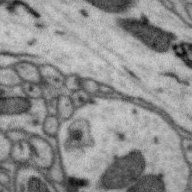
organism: Zebra finch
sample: Brain